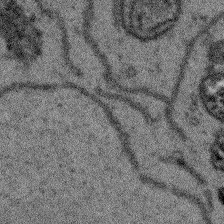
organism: Arabidopsis thaliana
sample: Root tip